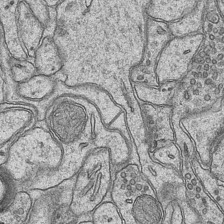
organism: Mouse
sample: CA1 Hippocampus